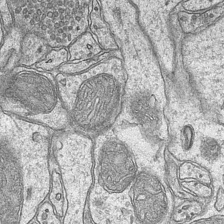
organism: Mouse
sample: CA1 Hippocampus